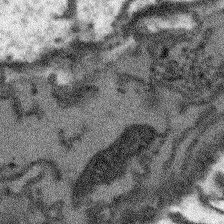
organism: Arabidopsis thaliana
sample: Root tip